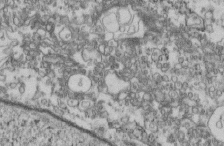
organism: Mouse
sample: Cilia; retinal pigment epithelium